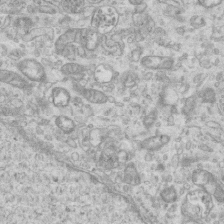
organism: Mouse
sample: Centriole in ependymal cells